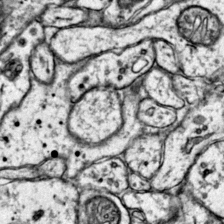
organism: Mouse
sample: Primary visual cortex